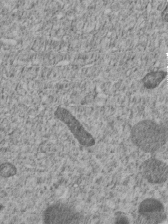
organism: C. elegans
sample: C. elegans embryo early stage